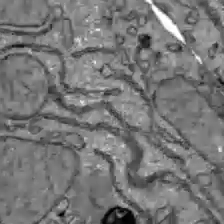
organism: C57BL Mouse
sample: Liver